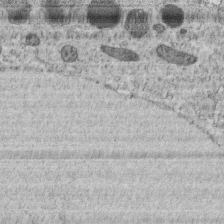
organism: C. elegans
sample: C. elegans embryo early stage